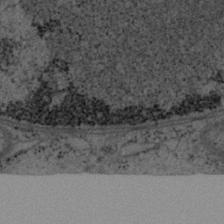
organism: Human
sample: HeLa cells